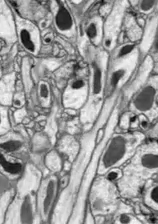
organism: Drosophila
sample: Optic lobe